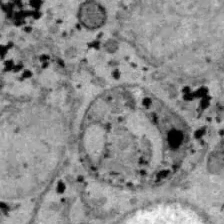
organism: Mouse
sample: Liver from an obese (ob/ob) mouse